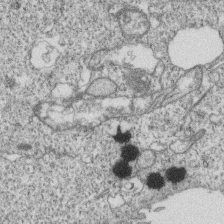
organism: Human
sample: HeLa cell HIV synapse